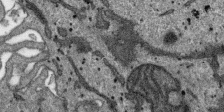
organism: Human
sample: Lung epithelial cells, uninfected (mock) control